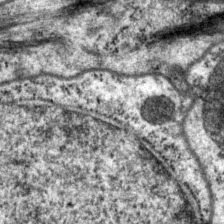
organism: P. pacificus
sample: Pharynx